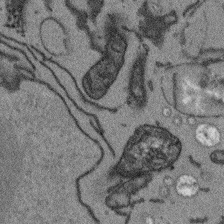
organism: Arabidopsis thaliana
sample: Root tip